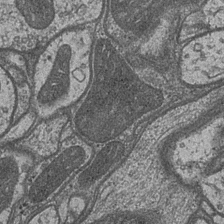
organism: Drosophila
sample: Optic medulla